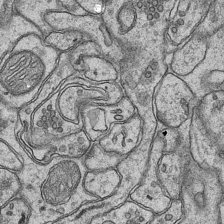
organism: Mouse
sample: CA1 Hippocampus